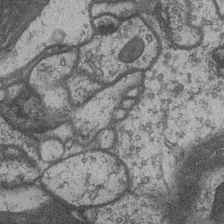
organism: Drosophila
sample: Optic medulla